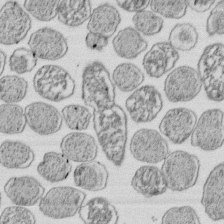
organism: E. coli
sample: Bacterial nucleoid